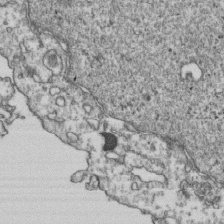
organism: Human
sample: Activated Jurkat CD4+ T cells